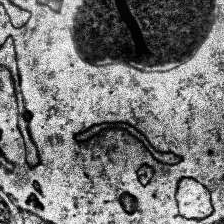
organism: Human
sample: Temporal Lobe